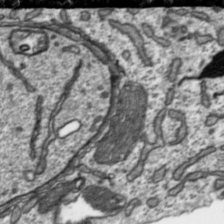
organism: Toxoplasma gondii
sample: Parasites in a vacuole inside a host cell